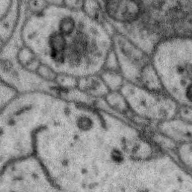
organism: Zebra finch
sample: Brain